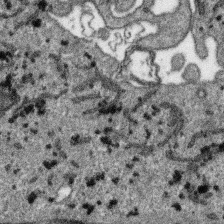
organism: Human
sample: Lung epithelial cells infected with SARS-CoV-2